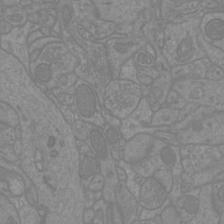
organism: Mouse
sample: Cortical neurons